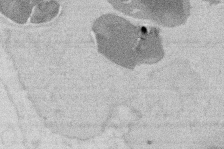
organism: Mouse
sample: T cell stromal cell synapse